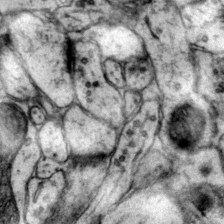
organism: Mouse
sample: Primary visual cortex